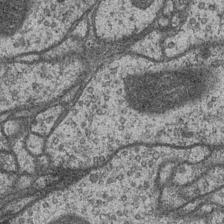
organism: Drosophila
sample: Optic medulla